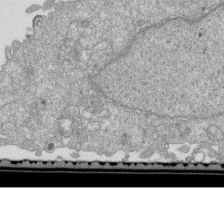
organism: Human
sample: HeLa cell HIV synapse